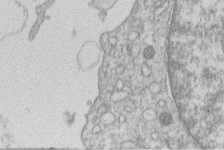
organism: Human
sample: Macrophage cells